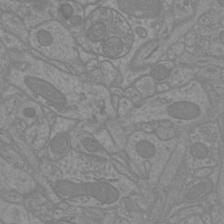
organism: Mouse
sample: Cortical neurons